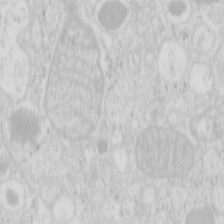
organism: Mouse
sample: Pancreas